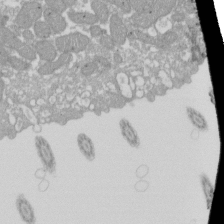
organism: Xenopus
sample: Cilia; centrioles in frog embryo cells